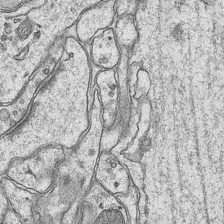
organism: Mouse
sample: CA1 Hippocampus